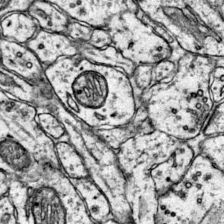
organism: Mouse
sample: Primary visual cortex